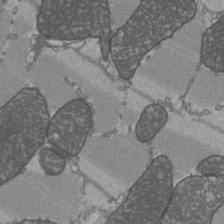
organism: C57BL Mouse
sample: Heart